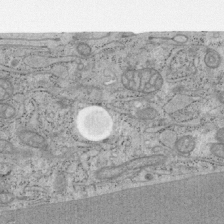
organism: Human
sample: HeLa cells